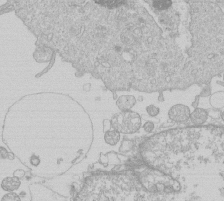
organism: Human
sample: Macrophage cells